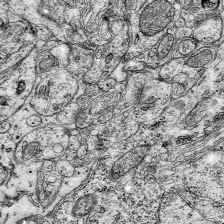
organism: Mouse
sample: Visual Cortex